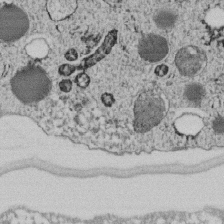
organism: C. elegans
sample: C. elegans embryo early stage